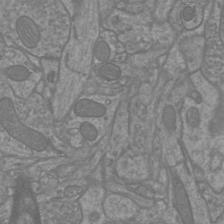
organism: Mouse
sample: Cortical neurons